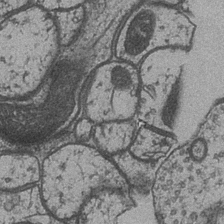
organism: Drosophila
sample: Optic medulla